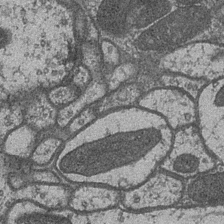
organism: Drosophila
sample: Optic medulla